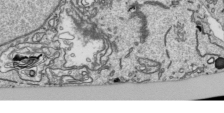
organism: Human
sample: Mitochondria in HCT116 cells